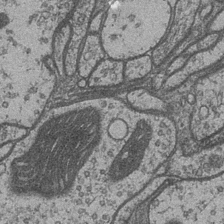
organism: Drosophila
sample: Optic medulla